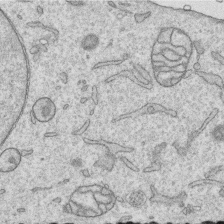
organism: Human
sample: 1205lu cells